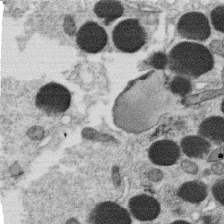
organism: C. elegans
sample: C. elegans oocyte; sperm cells